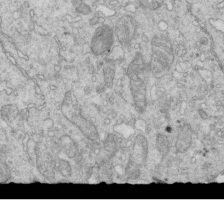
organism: Mouse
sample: Multiciliated cells